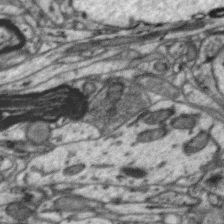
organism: Zebra finch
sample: Brain